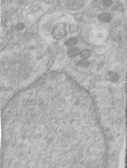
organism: Human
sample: Centriole in RPE cells